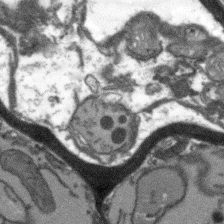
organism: Arabidopsis thaliana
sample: Root tip